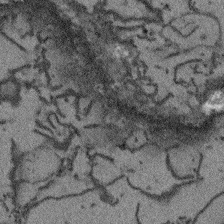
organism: Arabidopsis thaliana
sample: Root tip